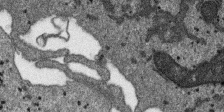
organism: Human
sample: Lung epithelial cells infected with SARS-CoV-2